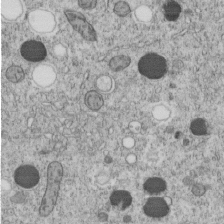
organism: C. elegans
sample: C. elegans embryo early stage